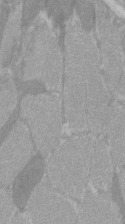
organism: C57BL Mouse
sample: Tibialis anterior muscle cell